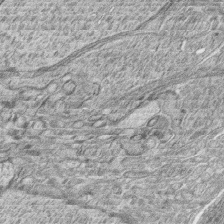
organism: Zebrafish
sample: synaptic ribbons in rod cells and cone cells